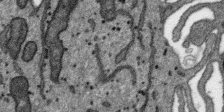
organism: Human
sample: Lung epithelial cells, uninfected (mock) control